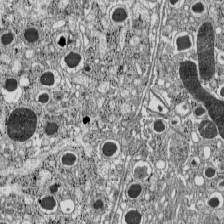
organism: C57BL Mouse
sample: Pancreatic islet